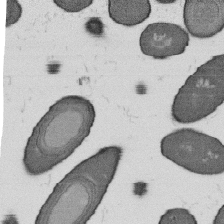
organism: B. subtilis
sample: Bacterial spore